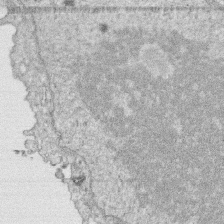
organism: Human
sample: HeLa cell HIV synapse